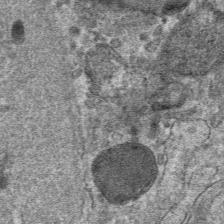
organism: Mouse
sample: Mouse hepatocytes